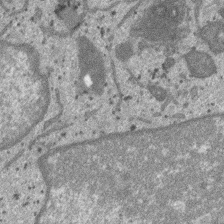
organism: Human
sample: Lung epithelial cells infected with SARS-CoV-2